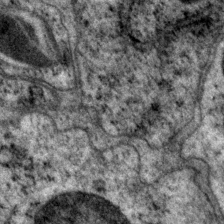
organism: P. pacificus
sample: Pharynx